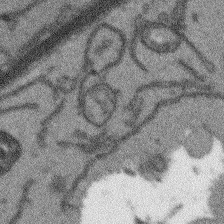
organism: Arabidopsis thaliana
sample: Root tip